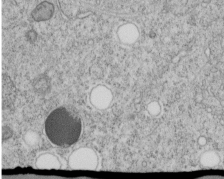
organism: C. elegans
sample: C. elegans embryo early stage